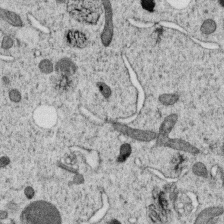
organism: C. elegans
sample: C. elegans oocyte; sperm cells